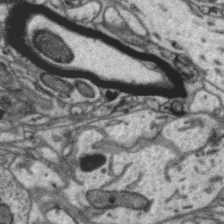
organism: Zebra finch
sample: Brain